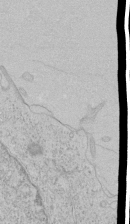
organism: Human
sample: Mitochondria in HCT116 cells